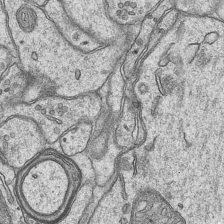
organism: Mouse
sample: CA1 Hippocampus